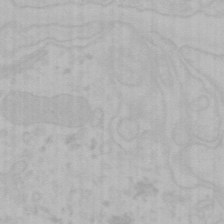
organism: Mouse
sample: Choroid plexus